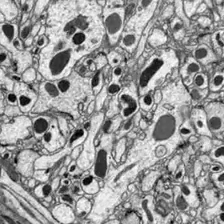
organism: Drosophila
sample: Optic lobe